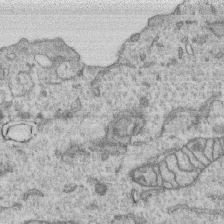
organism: Human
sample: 1205lu cells